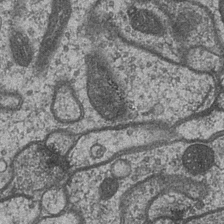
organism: Drosophila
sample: Optic medulla